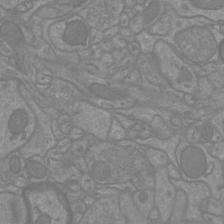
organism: Mouse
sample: Cortical neurons